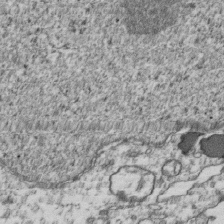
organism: Human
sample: Activated Jurkat CD4+ T cells